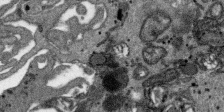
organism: Human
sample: Lung epithelial cells, uninfected (mock) control